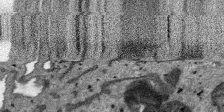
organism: Human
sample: Lung epithelial cells, uninfected (mock) control